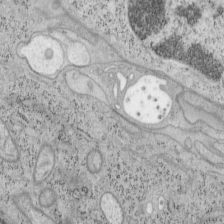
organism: Mouse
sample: OT-I killer T cells with ID8 ovarian cancer cells